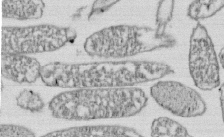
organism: E. coli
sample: Bacterial nucleoid